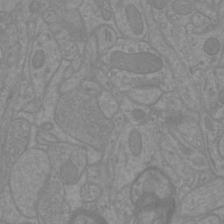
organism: Mouse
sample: Cortical neurons